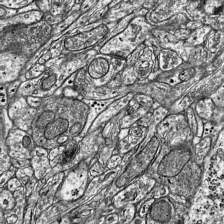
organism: Mouse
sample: Visual Cortex